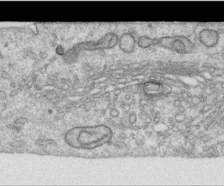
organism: Human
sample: Centriole in RPE cells